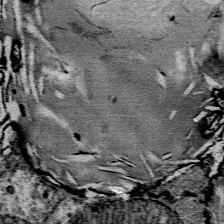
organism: Mouse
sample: Mouse Salivary gland